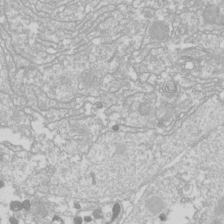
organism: Drosophila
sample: Cell division; meiosis; drosophila spermatocytes